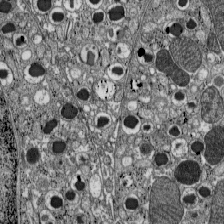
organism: C57BL Mouse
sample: Pancreatic islet